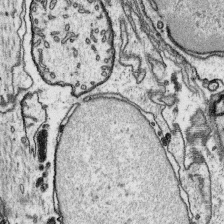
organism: Platynereis dumerilii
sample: Parapodia